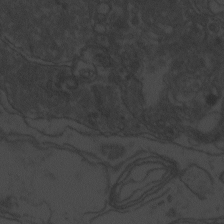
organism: Zebrafish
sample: Macrophage infected with Toxoplasma gondii